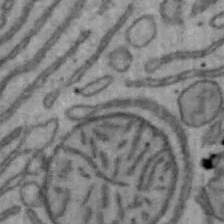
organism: Mouse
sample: Liver